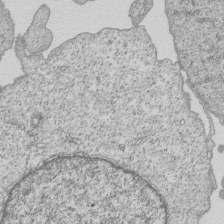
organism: Human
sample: MDA-MB-231 cells